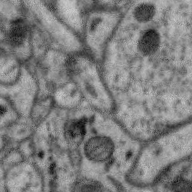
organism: Zebra finch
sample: Brain